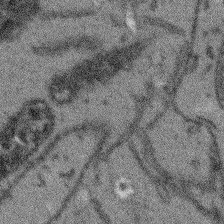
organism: Arabidopsis thaliana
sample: Root tip